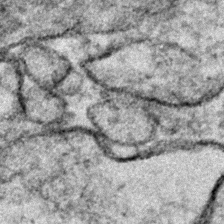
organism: Zebrafish